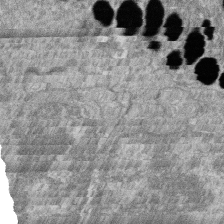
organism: Zebrafish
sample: Cilia; retinal pigment epithelium